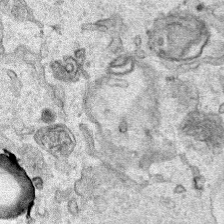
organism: Human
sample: Mitochondria in HCT116 cells